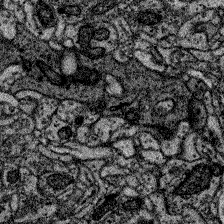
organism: Zebrafish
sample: Larval olfactory bulb